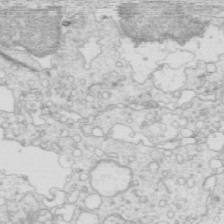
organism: Mouse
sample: Multiciliated cells